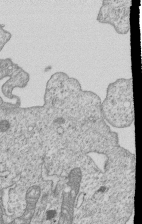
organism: Human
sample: MDA-MB-231 cells